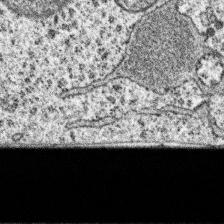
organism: Human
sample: HeLa cells